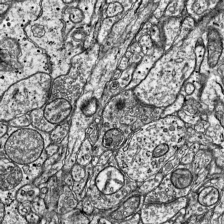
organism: Mouse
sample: Visual Cortex